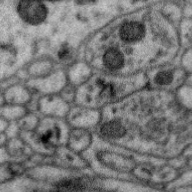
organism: Zebra finch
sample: Brain